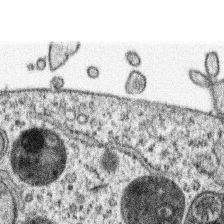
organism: Human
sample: HeLa cells